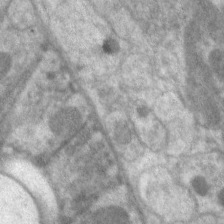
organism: C. elegans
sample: Pharynx